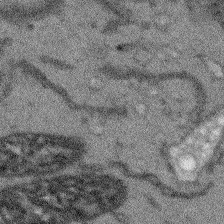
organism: Arabidopsis thaliana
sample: Root tip